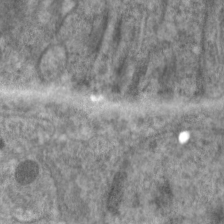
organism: C. elegans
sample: Pharynx